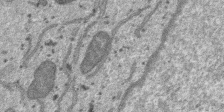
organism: Human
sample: Lung epithelial cells infected with SARS-CoV-2